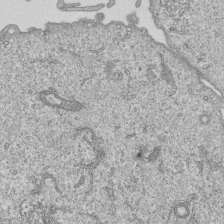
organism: Human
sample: MDA-MB-231 cells